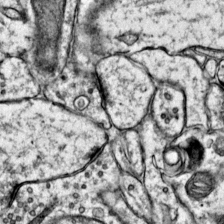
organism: Mouse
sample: Primary visual cortex